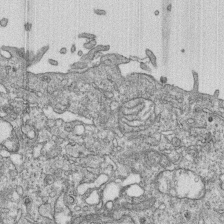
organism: Human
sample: HeLa cell HIV synapse